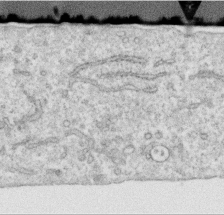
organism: Human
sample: Centriole in RPE cells